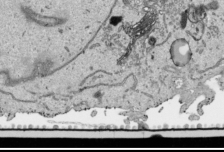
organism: Human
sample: Mitochondria in HCT116 cells